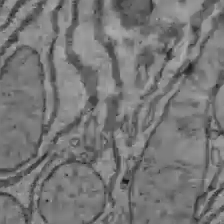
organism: C57BL Mouse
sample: Liver